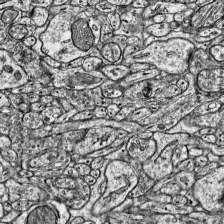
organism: Mouse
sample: Visual Cortex